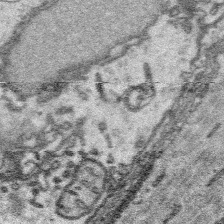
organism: Platynereis dumerilii